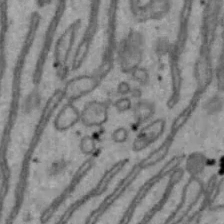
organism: Mouse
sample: Liver